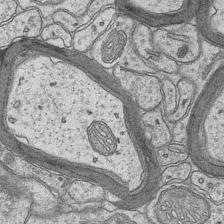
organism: Mouse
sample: CA1 Hippocampus